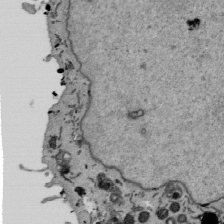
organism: Mouse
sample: ED-1 cell nuclei; centrioles